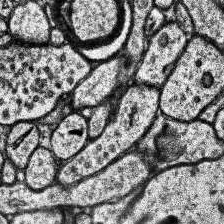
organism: Human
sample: Temporal Lobe